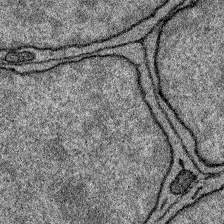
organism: Zebrafish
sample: Larval olfactory bulb